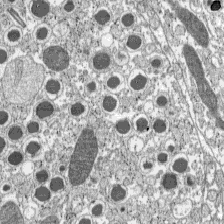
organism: C57BL Mouse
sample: Pancreatic islet